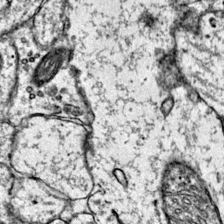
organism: Mouse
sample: Primary visual cortex